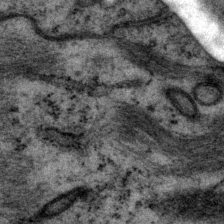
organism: P. pacificus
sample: Pharynx